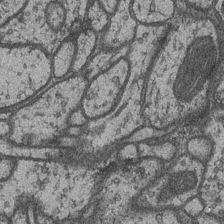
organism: Drosophila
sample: Optic medulla